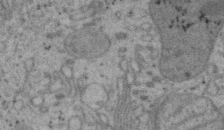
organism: Human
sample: HeLa cells